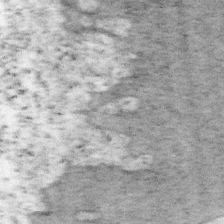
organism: Mouse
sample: OT-I killer T cells with ID8 ovarian cancer cells